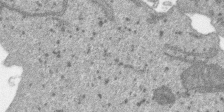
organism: Human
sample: Lung epithelial cells infected with SARS-CoV-2